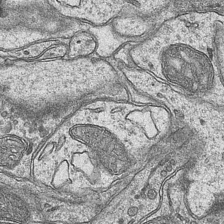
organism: Mouse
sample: CA1 Hippocampus